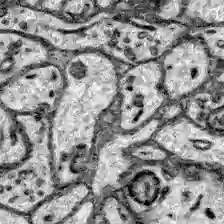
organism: Zebrafish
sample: Brain